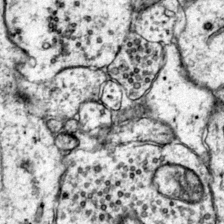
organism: Mouse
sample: Primary visual cortex